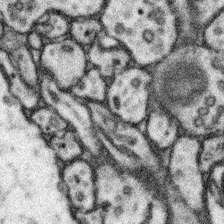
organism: Mouse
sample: Somatosensory cortex neuropil